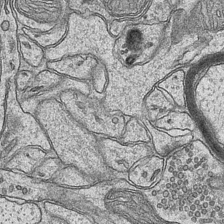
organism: Mouse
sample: CA1 Hippocampus